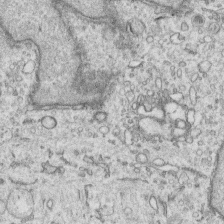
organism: Human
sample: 1205lu cells